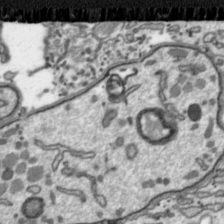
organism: Toxoplasma gondii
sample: Parasites in a vacuole inside a host cell